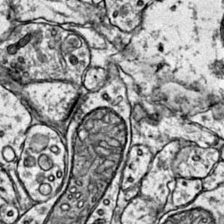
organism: Mouse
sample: Primary visual cortex